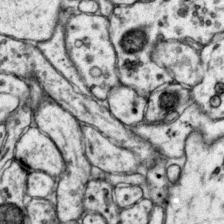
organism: Mouse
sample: Primary visual cortex